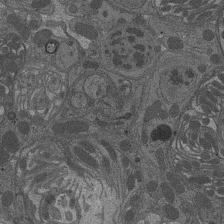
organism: Drosophila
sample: Antenna